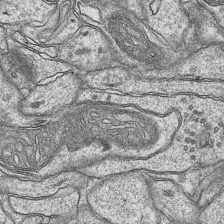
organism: Mouse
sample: CA1 Hippocampus